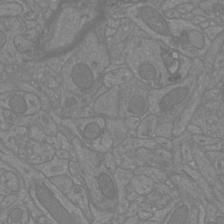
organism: Mouse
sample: Cortical neurons